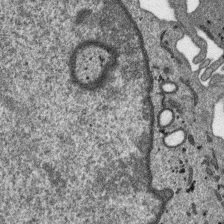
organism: Human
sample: Lung epithelial cells infected with SARS-CoV-2